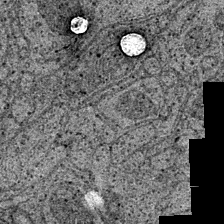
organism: Drosophila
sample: Optic medulla